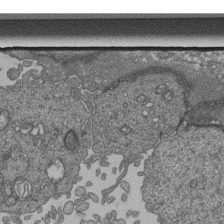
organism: Human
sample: Retinal organoid Rod and Cone cells